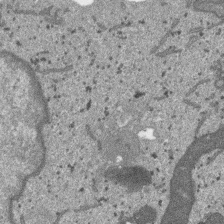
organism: Human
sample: Lung epithelial cells infected with SARS-CoV-2